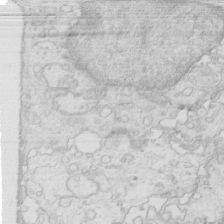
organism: Mouse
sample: Multiciliated cells